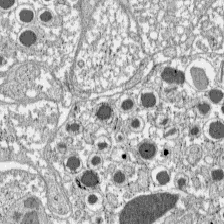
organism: C57BL Mouse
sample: Pancreatic islet